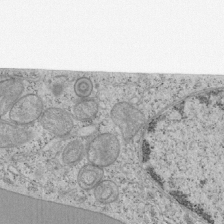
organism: Human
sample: HeLa cells